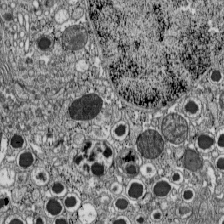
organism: C57BL Mouse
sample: Pancreatic islet